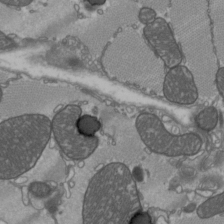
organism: C57BL Mouse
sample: Heart